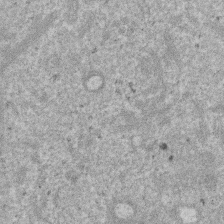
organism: Mouse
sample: Dividing mouse embryo 1 cell stage